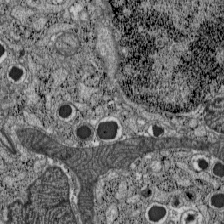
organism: C57BL Mouse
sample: Pancreatic islet